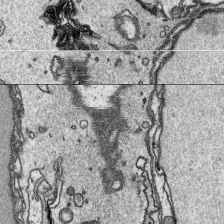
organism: Platynereis dumerilii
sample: Parapodia